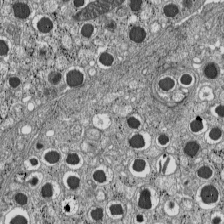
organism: C57BL Mouse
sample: Pancreatic islet